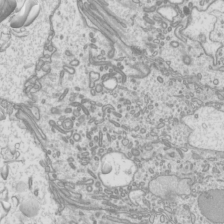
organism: Mouse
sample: Cilia; mouse epididymis